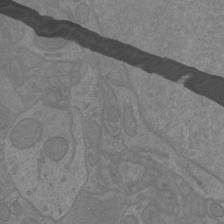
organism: Mouse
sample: Cortical neurons